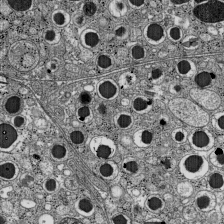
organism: C57BL Mouse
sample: Pancreatic islet